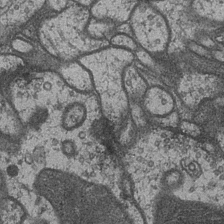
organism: Drosophila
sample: Optic medulla